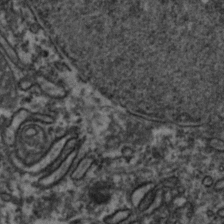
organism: Zebrafish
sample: Zebrafish embryo